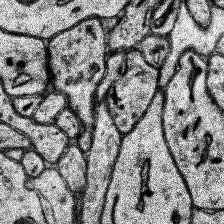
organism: Human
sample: Temporal Lobe